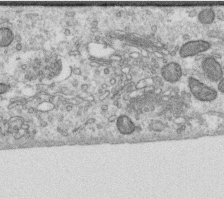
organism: Human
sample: Centriole in RPE cells